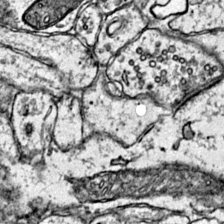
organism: Mouse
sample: Primary visual cortex